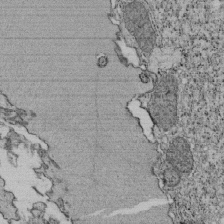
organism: Tetrahymena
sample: Cilia in tetrahymena